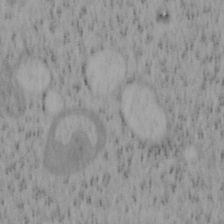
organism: Mouse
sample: OT-I killer T cells with ID8 ovarian cancer cells